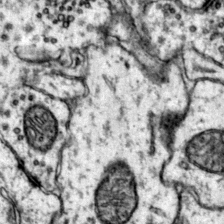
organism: Mouse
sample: Primary visual cortex